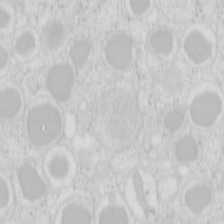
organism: Mouse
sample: Pancreas